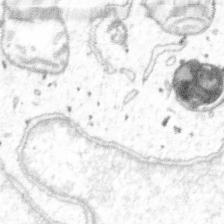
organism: Human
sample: HeLa cells